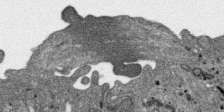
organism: Human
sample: Lung epithelial cells, uninfected (mock) control